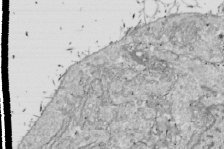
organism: Drosophila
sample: Cell division; meiosis; drosophila spermatocytes